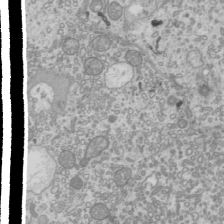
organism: Mouse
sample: Cilia; mouse epididymis